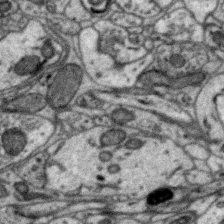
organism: Zebra finch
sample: Brain